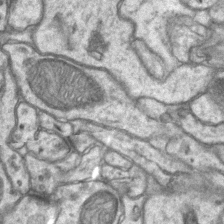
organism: Mouse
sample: CA1 Hippocampus